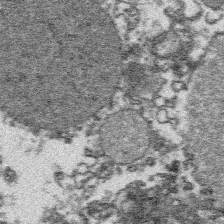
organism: Platynereis dumerilii